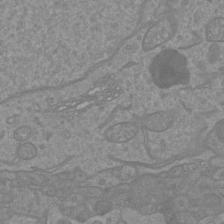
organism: Mouse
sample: Cortical neurons